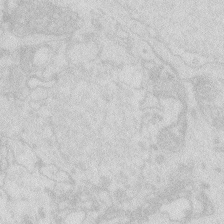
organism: Zebrafish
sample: Macrophage